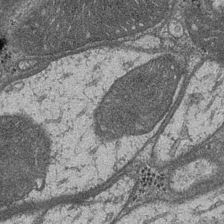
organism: Drosophila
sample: Optic medulla